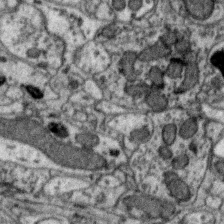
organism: Zebra finch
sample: Brain